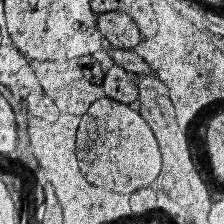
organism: Human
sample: Temporal Lobe